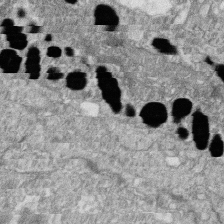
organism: Zebrafish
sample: Cilia; retinal pigment epithelium